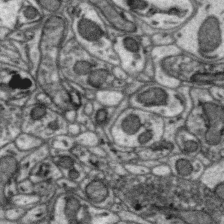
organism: Zebra finch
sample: Brain